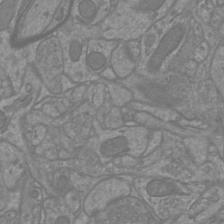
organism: Mouse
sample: Cortical neurons